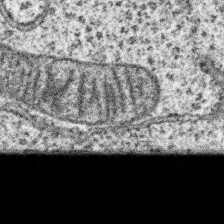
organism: Human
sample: HeLa cells